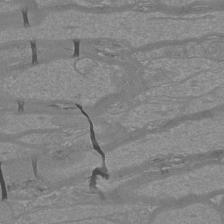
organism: Mouse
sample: Cortical neurons